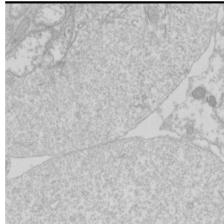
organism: Drosophila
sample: Cell division; meiosis; drosophila spermatocytes